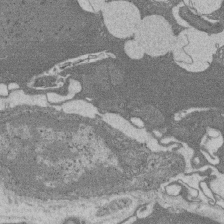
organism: Rat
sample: Salivary granule